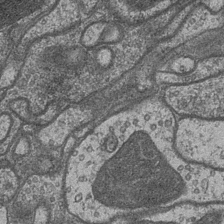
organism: Drosophila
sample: Optic medulla